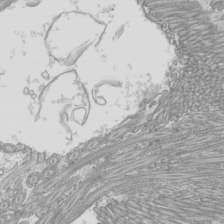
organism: Mouse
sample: Cilia; mouse epididymis